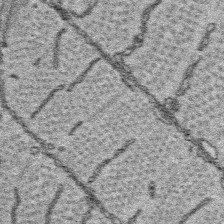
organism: Platynereis dumerilii